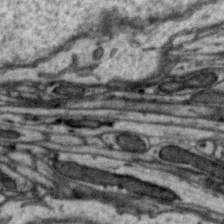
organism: Zebra finch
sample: Brain